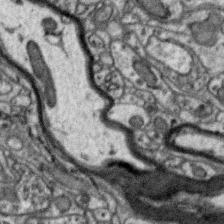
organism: Zebra finch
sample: Brain